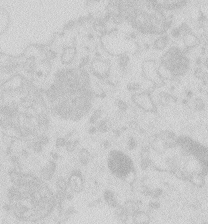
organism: Zebrafish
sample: Macrophage